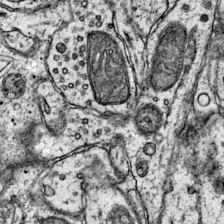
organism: Mouse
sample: Primary visual cortex